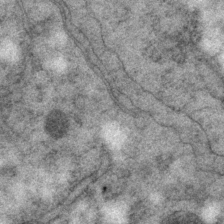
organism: P. pacificus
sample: Pharynx